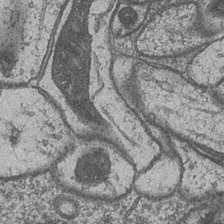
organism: Drosophila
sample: Optic medulla